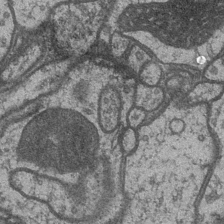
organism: Drosophila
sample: Optic medulla